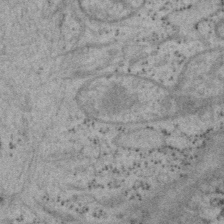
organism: Human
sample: HeLa cells